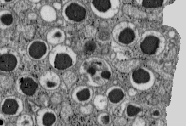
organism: C57BL Mouse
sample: Pancreatic islet